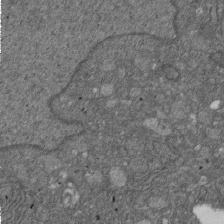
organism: Drosophila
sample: Nephrocyte